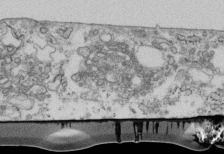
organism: Mouse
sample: Cilia; retinal pigment epithelium